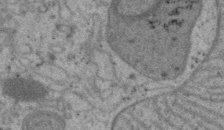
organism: Human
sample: HeLa cells